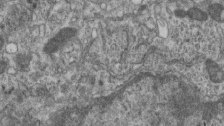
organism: Mouse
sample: Centriole in ependymal cells